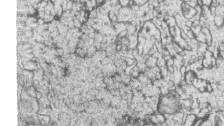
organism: Zebrafish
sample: synaptic ribbons in rod cells and cone cells